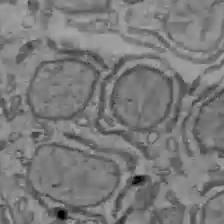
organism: C57BL Mouse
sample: Liver